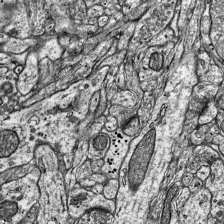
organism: Mouse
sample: Visual Cortex